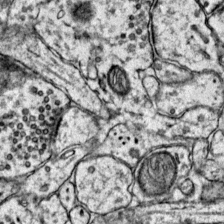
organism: Mouse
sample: Primary visual cortex